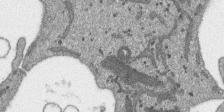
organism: Human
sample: Lung epithelial cells infected with SARS-CoV-2